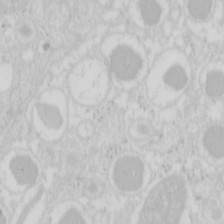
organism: Mouse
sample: Pancreas